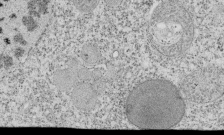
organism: Tetrahymena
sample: Cilia in tetrahymena